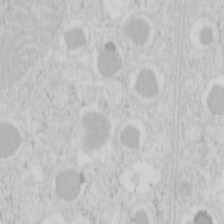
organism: Mouse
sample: Pancreas